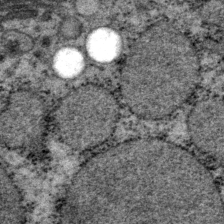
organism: P. pacificus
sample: Pharynx